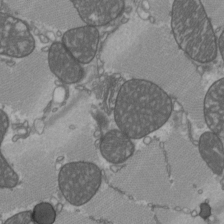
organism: C57BL Mouse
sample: Heart